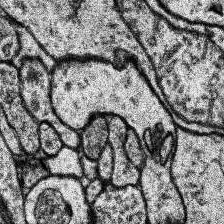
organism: Human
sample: Temporal Lobe